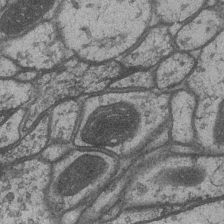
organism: Drosophila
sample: Optic medulla